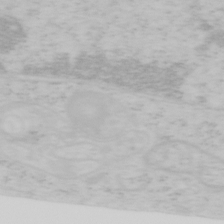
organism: Mouse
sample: OT-I killer T cells with ID8 ovarian cancer cells